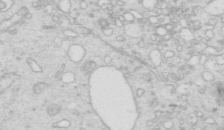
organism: Mouse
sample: Multiciliated cells